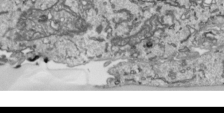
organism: Human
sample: Mitochondria in HCT116 cells